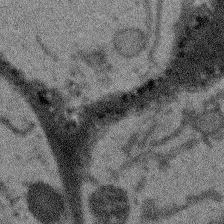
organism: Arabidopsis thaliana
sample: Root tip